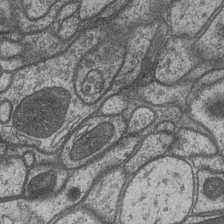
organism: Drosophila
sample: Optic medulla